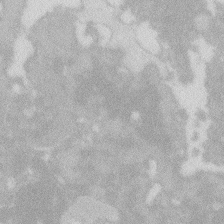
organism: Zebrafish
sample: Macrophage